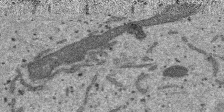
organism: Human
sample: Lung epithelial cells infected with SARS-CoV-2